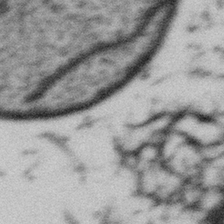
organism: Gemmata obscuriglobus